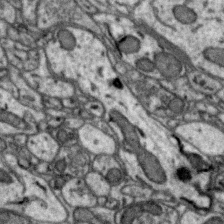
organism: Zebra finch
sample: Brain